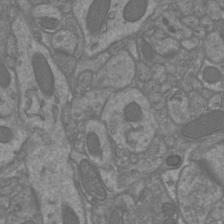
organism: Mouse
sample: Cortical neurons